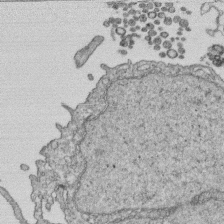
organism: Human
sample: HeLa cell HIV synapse